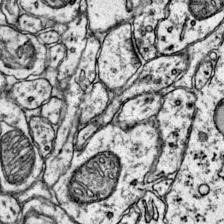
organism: Mouse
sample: Primary visual cortex